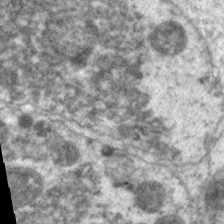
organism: C. elegans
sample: Pharynx